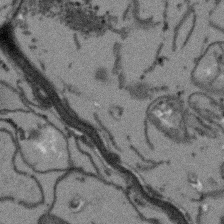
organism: Arabidopsis thaliana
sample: Root tip